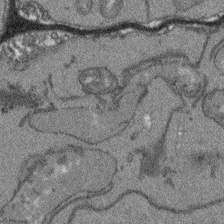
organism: Arabidopsis thaliana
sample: Root tip